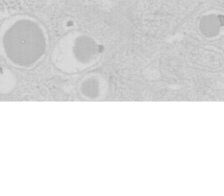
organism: Mouse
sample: Pancreas